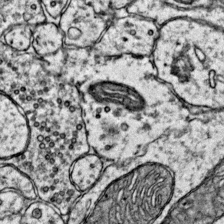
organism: Mouse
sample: Primary visual cortex